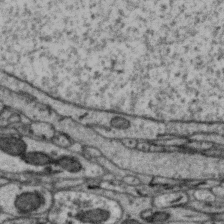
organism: Zebra finch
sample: Brain